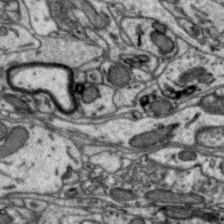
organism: Zebra finch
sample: Brain